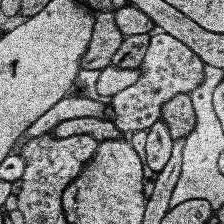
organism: Human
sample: Temporal Lobe